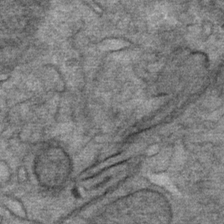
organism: Mouse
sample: Mouse Salivary gland